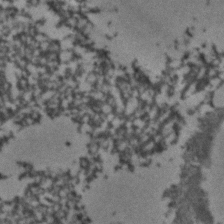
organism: C. elegans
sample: C. elegans embryo